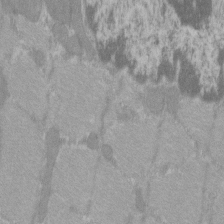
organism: C57BL Mouse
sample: Tibialis anterior muscle cell